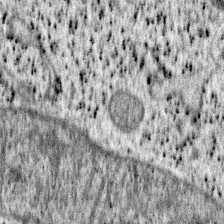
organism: Human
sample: HeLa cells